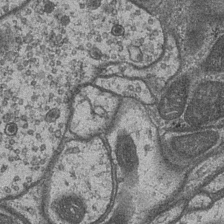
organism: Drosophila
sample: Optic medulla